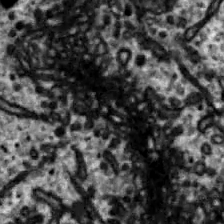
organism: Human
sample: HeLa cells